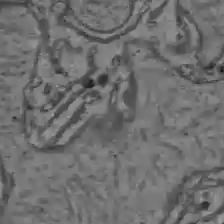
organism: C57BL Mouse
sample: Liver